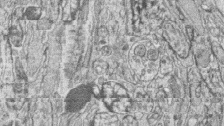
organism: Zebrafish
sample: synaptic ribbons in rod cells and cone cells